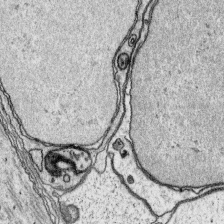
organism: Platynereis dumerilii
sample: Parapodia